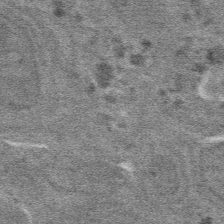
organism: Mouse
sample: Mouse hepatocytes